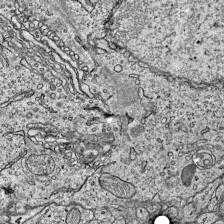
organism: Mouse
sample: Visual Cortex